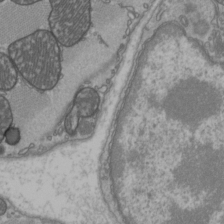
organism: C57BL Mouse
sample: Heart